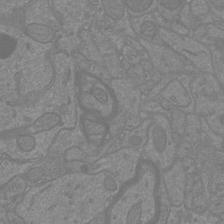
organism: Mouse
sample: Cortical neurons